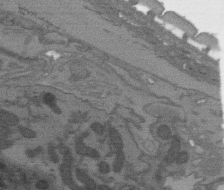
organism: C. elegans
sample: AFD neurons C. elegans